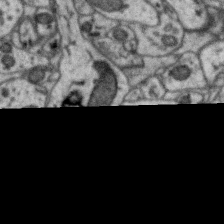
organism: Zebra finch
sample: Brain